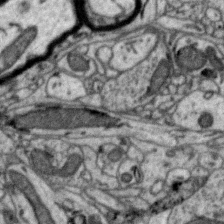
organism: Zebra finch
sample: Brain